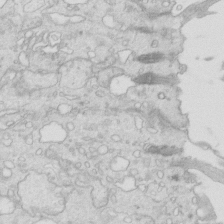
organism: Mouse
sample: Multiciliated cells